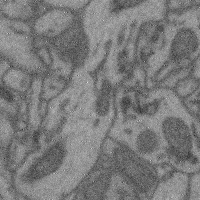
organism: Mouse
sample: Cerebral cortex